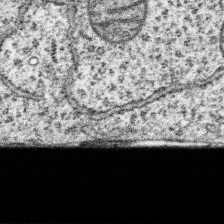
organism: Human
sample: HeLa cells